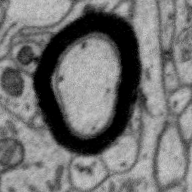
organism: Zebra finch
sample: Brain